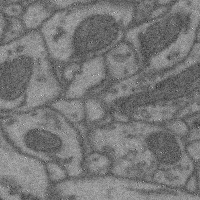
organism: Mouse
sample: Cerebral cortex